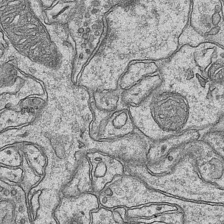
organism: Mouse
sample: CA1 Hippocampus